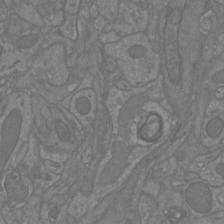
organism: Mouse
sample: Cortical neurons